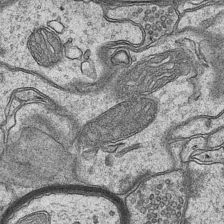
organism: Mouse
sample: CA1 Hippocampus